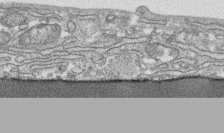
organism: Human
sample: CRL-1474